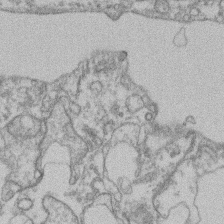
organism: Mouse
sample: T cell stromal cell synapse